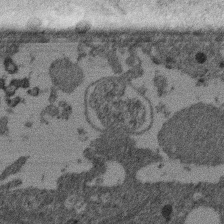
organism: Mouse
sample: Dividing mouse embryo 1 cell stage